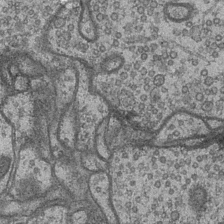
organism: Drosophila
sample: Optic medulla